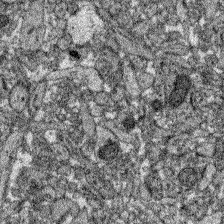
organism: Zebrafish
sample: Larval olfactory bulb